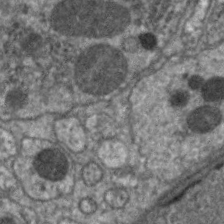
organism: C. elegans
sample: Pharynx